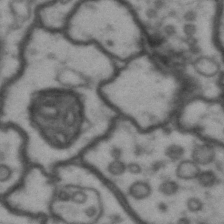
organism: Drosophila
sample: Brain